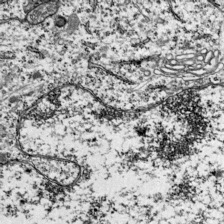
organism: Mouse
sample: Visual Cortex